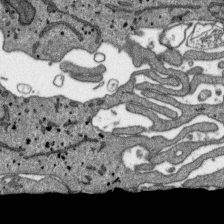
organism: Human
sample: Lung epithelial cells, uninfected (mock) control